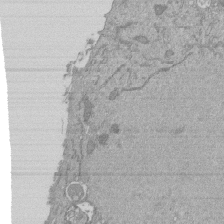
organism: Mouse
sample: ED-1 cell nuclei; centrioles